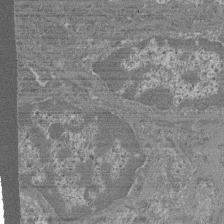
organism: Mouse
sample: Glomerulus